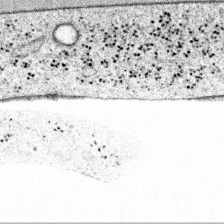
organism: Human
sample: HeLa cells